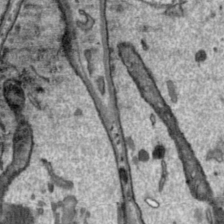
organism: Toxoplasma gondii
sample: Parasites in a vacuole inside a host cell